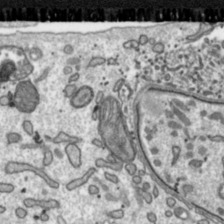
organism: Toxoplasma gondii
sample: Parasites in a vacuole inside a host cell